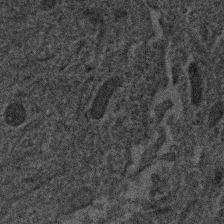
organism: Human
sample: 1205lu cells